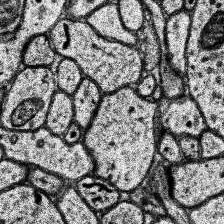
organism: Human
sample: Temporal Lobe